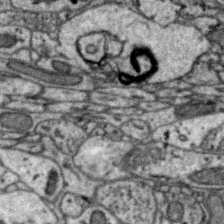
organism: Zebra finch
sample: Brain